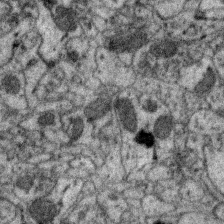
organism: Zebra finch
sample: Brain